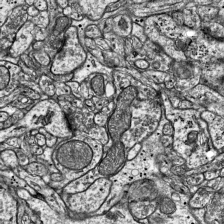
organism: Mouse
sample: Visual Cortex